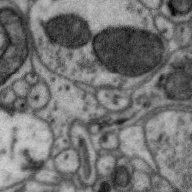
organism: Zebra finch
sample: Brain